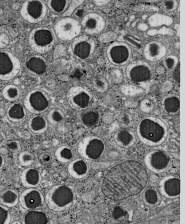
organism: C57BL Mouse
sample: Pancreatic islet